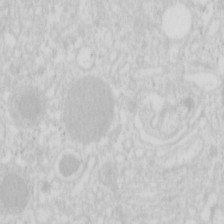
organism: Mouse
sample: Pancreas